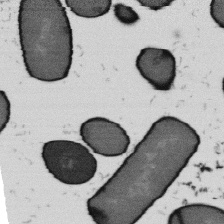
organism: B. subtilis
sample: Bacterial spore